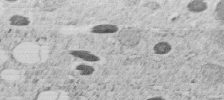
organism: C. elegans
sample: C. elegans embryo early stage